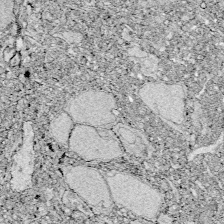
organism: Zebrafish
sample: Whole-Brain